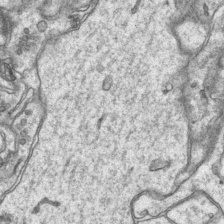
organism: Mouse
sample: CA1 Hippocampus